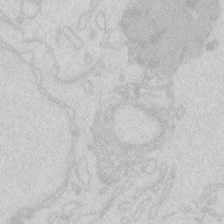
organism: Zebrafish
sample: Macrophage